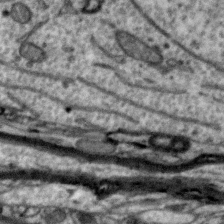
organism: Zebra finch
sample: Brain